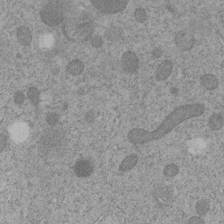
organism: C. elegans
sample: C. elegans embryo early stage